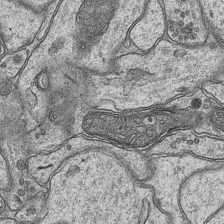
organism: Mouse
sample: CA1 Hippocampus